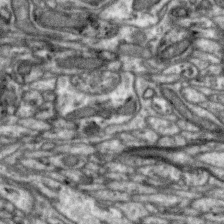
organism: Zebra finch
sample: Brain